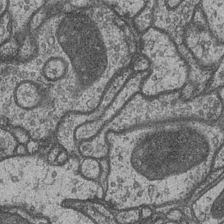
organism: Drosophila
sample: Optic medulla